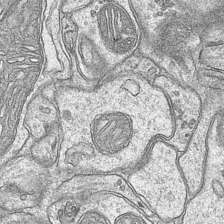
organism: Mouse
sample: CA1 Hippocampus